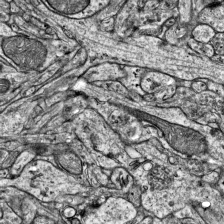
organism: Mouse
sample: Visual Cortex